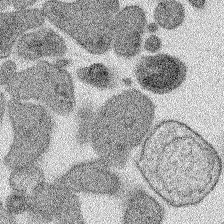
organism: Human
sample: HeLa cells